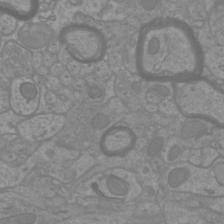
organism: Mouse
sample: Cortical neurons